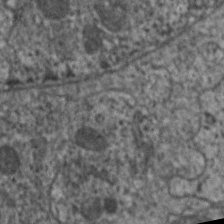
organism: C. elegans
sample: Pharynx